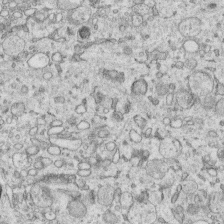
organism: Human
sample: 1205lu cells